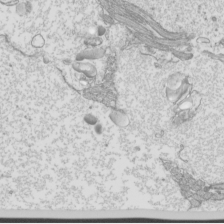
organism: Mouse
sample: Cilia; mouse epididymis